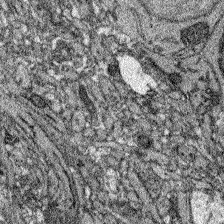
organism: Zebrafish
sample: Larval olfactory bulb